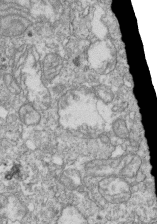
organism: Human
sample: HeLa cell HIV synapse